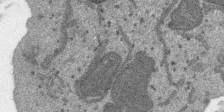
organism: Human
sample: Lung epithelial cells infected with SARS-CoV-2